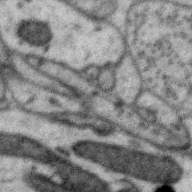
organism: Zebra finch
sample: Brain